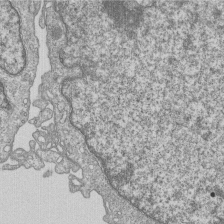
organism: Human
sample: MDA-MB-231 cells